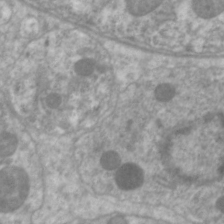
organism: C. elegans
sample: Pharynx